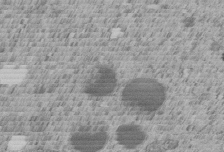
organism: C. elegans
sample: C. elegans embryo early stage